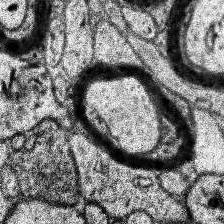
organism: Human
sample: Temporal Lobe